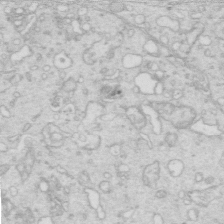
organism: Mouse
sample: Multiciliated cells